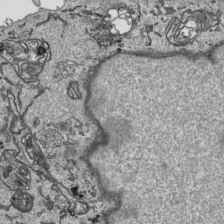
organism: Human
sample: Mitochondria in HCT116 cells